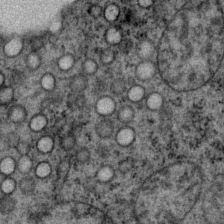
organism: P. pacificus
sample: Pharynx